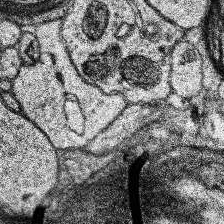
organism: Human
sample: Temporal Lobe